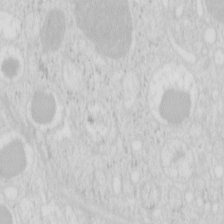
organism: Mouse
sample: Pancreas